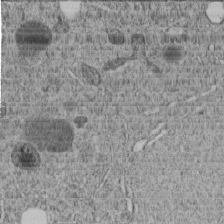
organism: C. elegans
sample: C. elegans embryo early stage